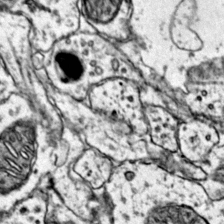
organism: Mouse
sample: Primary visual cortex